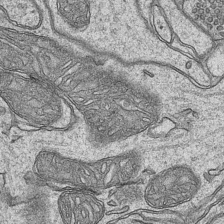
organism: Mouse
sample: CA1 Hippocampus